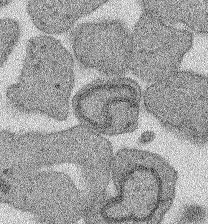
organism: Human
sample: HeLa cells